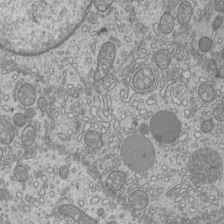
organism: Mouse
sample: Cilia; mouse epididymis